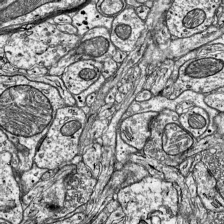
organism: Mouse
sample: Visual Cortex